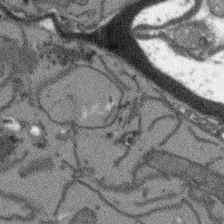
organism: Arabidopsis thaliana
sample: Root tip